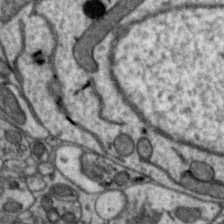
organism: Zebra finch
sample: Brain